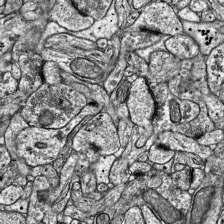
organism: Mouse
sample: Visual Cortex